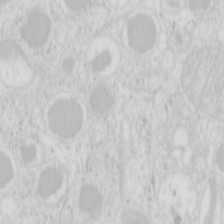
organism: Mouse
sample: Pancreas